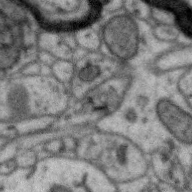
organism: Zebra finch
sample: Brain